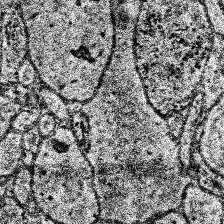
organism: Human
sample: Temporal Lobe